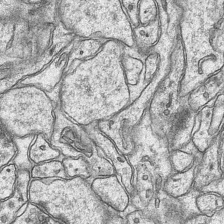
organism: Mouse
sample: CA1 Hippocampus